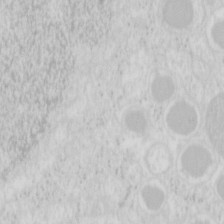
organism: Mouse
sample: Pancreas